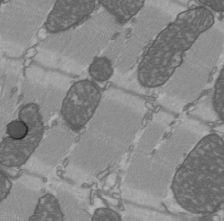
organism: C57BL Mouse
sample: Heart